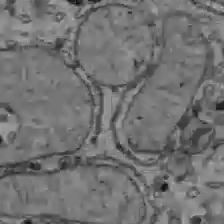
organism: C57BL Mouse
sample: Liver